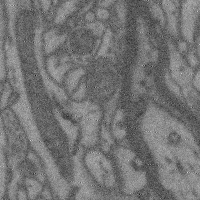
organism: Mouse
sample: Cerebral cortex